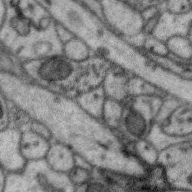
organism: Zebra finch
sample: Brain